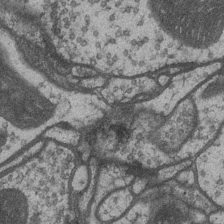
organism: Drosophila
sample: Optic medulla